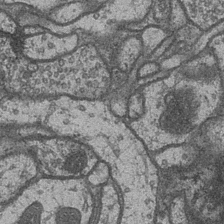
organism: Drosophila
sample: Optic medulla